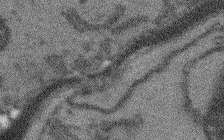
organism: Arabidopsis thaliana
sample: Root tip